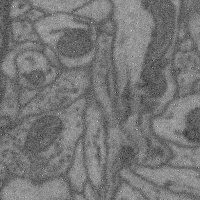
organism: Mouse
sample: Cerebral cortex